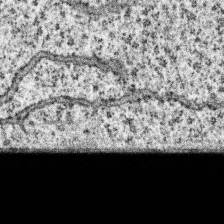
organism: Human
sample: HeLa cells